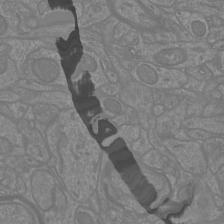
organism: Mouse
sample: Cortical neurons